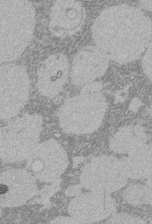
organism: Rat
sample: Salivary granule